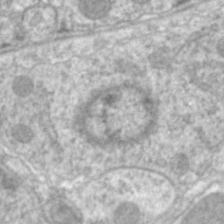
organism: C. elegans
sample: Pharynx